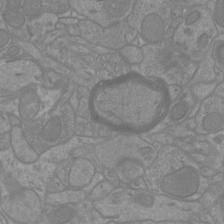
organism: Mouse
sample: Cortical neurons